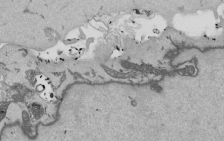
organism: Mouse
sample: ED-1 cell nuclei; centrioles